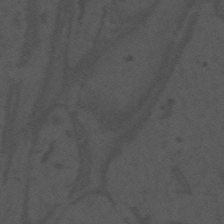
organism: Mouse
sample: Suprachiasmatic nucleus